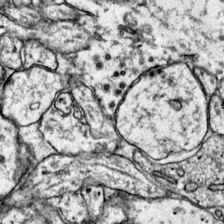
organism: Mouse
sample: Primary visual cortex